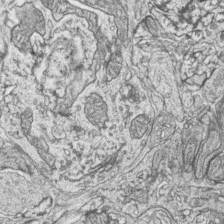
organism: Zebrafish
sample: synaptic ribbons in rod cells and cone cells